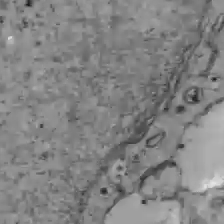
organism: C57BL Mouse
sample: Liver